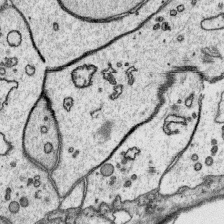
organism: Platynereis dumerilii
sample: Parapodia